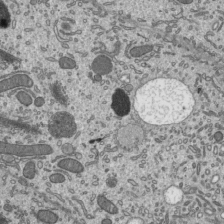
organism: Mouse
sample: Mouse epididymis efferent ductule cilia